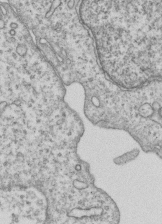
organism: Human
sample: MDA-MB-231 cells